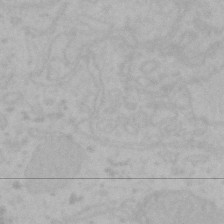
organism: Mouse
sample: Choroid plexus